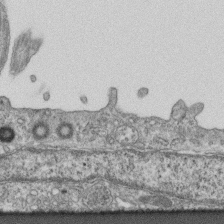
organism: Mouse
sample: Centriole in ependymal cells